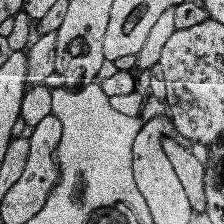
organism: Human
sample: Temporal Lobe